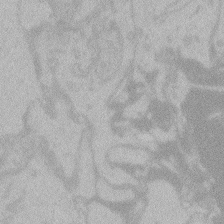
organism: Zebrafish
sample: Macrophage infected with Toxoplasma gondii